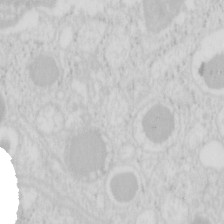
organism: Mouse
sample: Pancreas